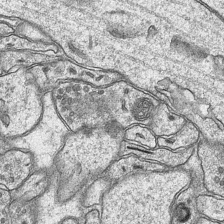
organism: Mouse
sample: CA1 Hippocampus